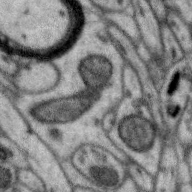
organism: Zebra finch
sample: Brain